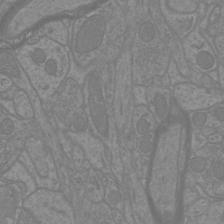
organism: Mouse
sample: Cortical neurons